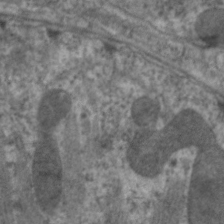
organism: C. elegans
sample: Pharynx